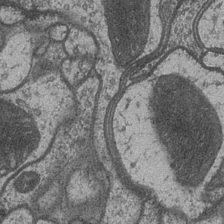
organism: Drosophila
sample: Optic medulla